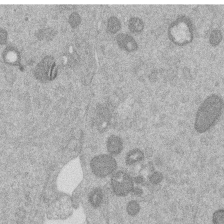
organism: Mouse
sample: Dividing mouse embryo 1 cell stage